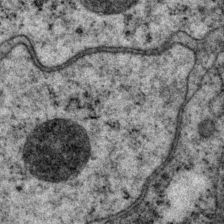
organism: P. pacificus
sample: Pharynx